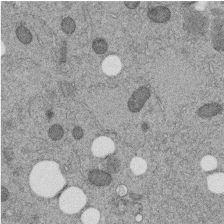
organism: C. elegans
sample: C. elegans embryo early stage